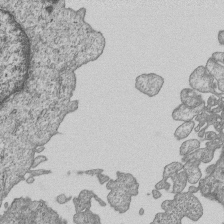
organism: Human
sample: MDA-MB-231 cells